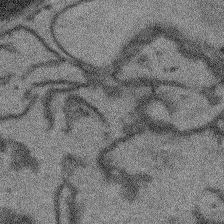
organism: Arabidopsis thaliana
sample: Root tip